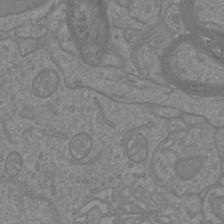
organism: Mouse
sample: Cortical neurons